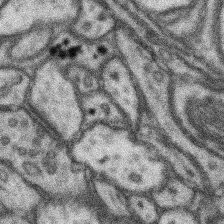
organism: Mouse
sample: Somatosensory cortex neuropil